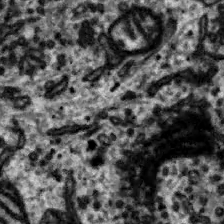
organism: Human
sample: HeLa cells